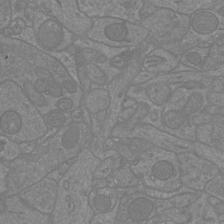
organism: Mouse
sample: Cortical neurons